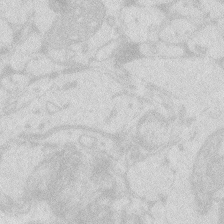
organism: Zebrafish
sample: Macrophage